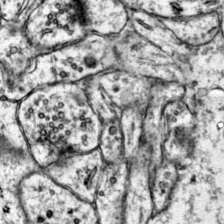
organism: Mouse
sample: Primary visual cortex